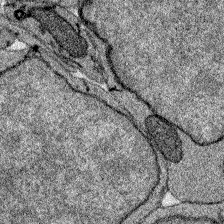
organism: Zebrafish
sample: Larval olfactory bulb